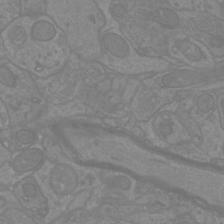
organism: Mouse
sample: Cortical neurons